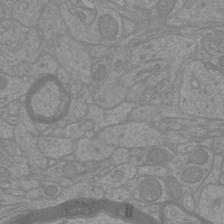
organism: Mouse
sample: Cortical neurons